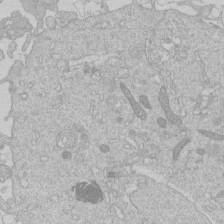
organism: Human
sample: Macrophage cells